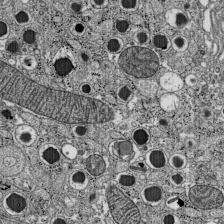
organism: C57BL Mouse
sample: Pancreatic islet